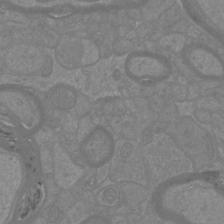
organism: Mouse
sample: Cortical neurons